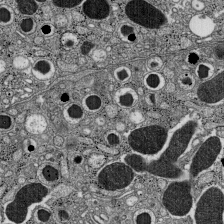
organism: C57BL Mouse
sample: Pancreatic islet